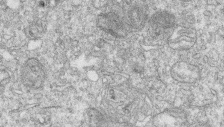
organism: Human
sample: HeLa cell HIV synapse